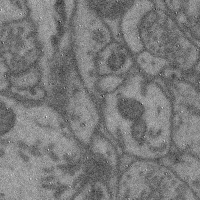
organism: Mouse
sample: Cerebral cortex